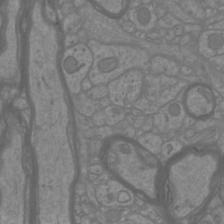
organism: Mouse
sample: Cortical neurons